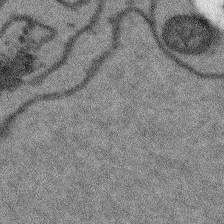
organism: Arabidopsis thaliana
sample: Root tip